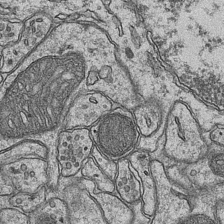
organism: Mouse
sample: CA1 Hippocampus